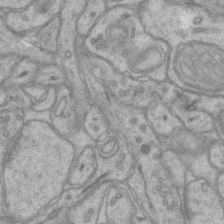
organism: Mouse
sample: CA1 Hippocampus